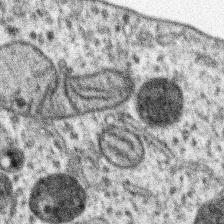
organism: Human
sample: HeLa cells